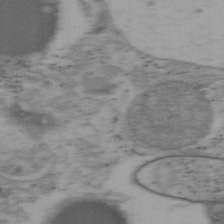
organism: Mouse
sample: OT-I killer T cells with ID8 ovarian cancer cells